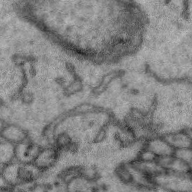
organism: Zebra finch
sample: Brain